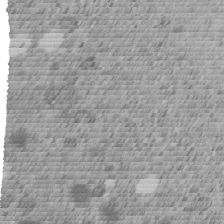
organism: C. elegans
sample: C. elegans embryo early stage